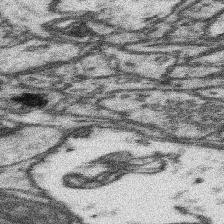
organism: Mouse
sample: Somatosensory cortex neuropil